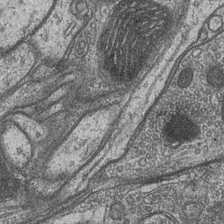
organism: Drosophila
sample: Optic medulla